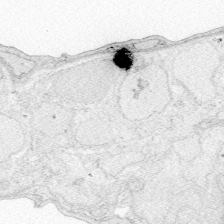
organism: Zebrafish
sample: Whole-Brain